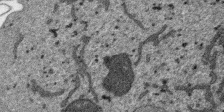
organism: Human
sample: Lung epithelial cells infected with SARS-CoV-2